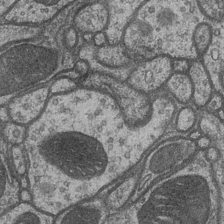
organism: Drosophila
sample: Optic medulla